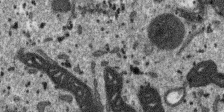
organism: Human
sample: Lung epithelial cells infected with SARS-CoV-2